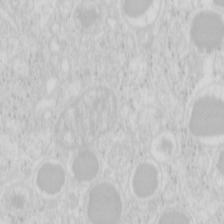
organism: Mouse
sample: Pancreas